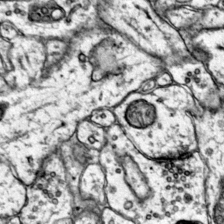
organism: Mouse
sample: Primary visual cortex